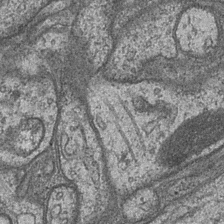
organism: Drosophila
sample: Optic medulla